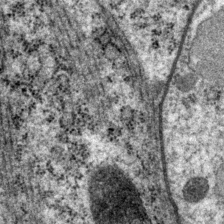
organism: P. pacificus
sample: Pharynx